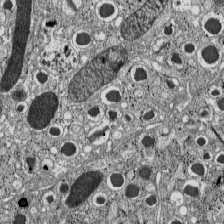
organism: C57BL Mouse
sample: Pancreatic islet